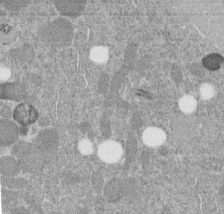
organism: C. elegans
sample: C. elegans embryo early stage